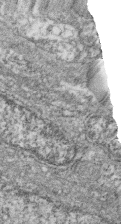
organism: Zebrafish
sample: Cilia; retinal pigment epithelium